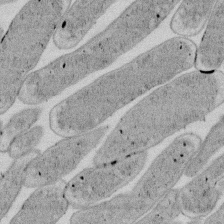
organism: E. coli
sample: Bacterial nucleoid